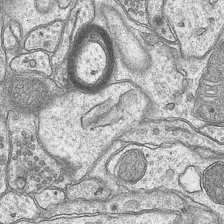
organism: Mouse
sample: CA1 Hippocampus